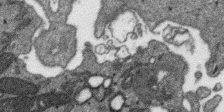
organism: Human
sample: Lung epithelial cells infected with SARS-CoV-2